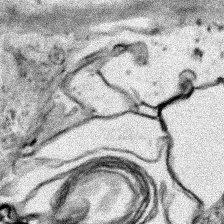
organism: Human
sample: Mitochondria in HCT116 cells